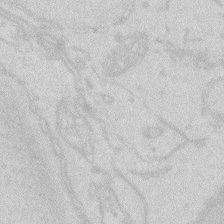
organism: Zebrafish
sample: Macrophage